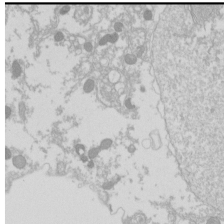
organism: Drosophila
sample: Cell division; meiosis; drosophila spermatocytes